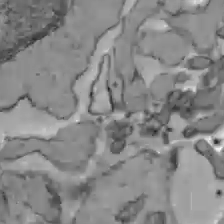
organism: C57BL Mouse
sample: Liver